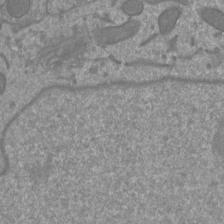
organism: Mouse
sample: Cortical neurons